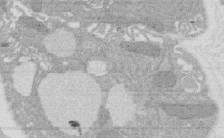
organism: Rat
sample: Salivary granule